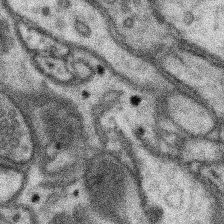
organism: Mouse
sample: Somatosensory cortex neuropil